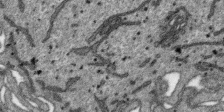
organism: Human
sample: Lung epithelial cells, uninfected (mock) control